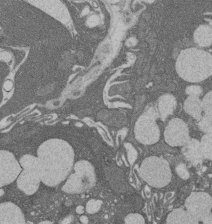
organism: Rat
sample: Salivary granule